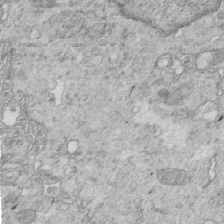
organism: Mouse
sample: Multiciliated cells